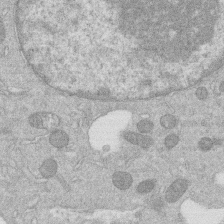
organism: Human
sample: Macrophage cells